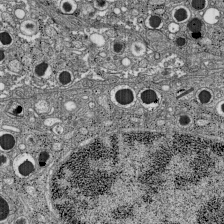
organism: C57BL Mouse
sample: Pancreatic islet